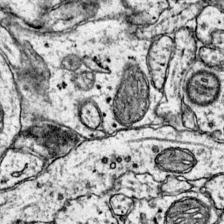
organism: Mouse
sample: Primary visual cortex